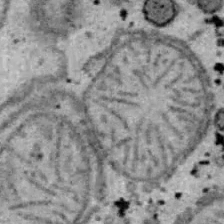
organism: Mouse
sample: Liver from an obese (ob/ob) mouse